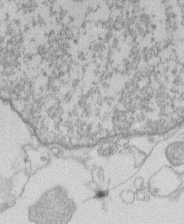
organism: Human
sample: Macrophage cells